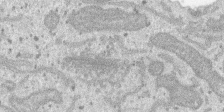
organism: Human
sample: Lung epithelial cells infected with SARS-CoV-2